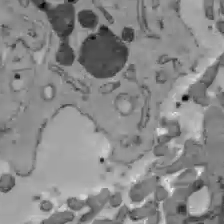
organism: C57BL Mouse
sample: Liver